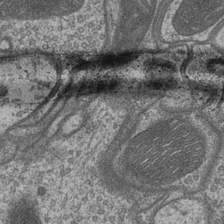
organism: Drosophila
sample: Optic medulla